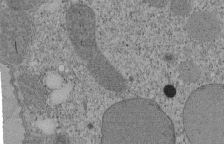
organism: Tetrahymena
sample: Cilia in tetrahymena